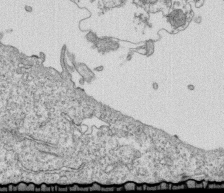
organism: Human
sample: HeLa cell HIV synapse